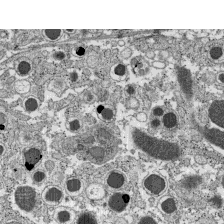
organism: C57BL Mouse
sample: Pancreatic islet